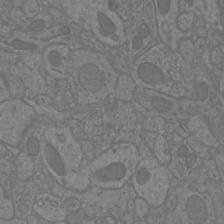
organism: Mouse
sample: Cortical neurons